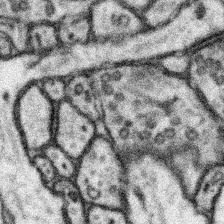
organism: Mouse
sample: Somatosensory cortex neuropil